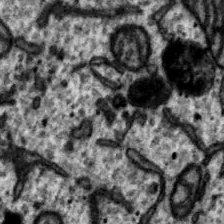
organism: Human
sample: HeLa cells